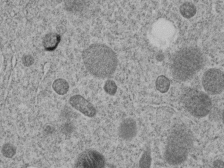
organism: C. elegans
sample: C. elegans embryo early stage